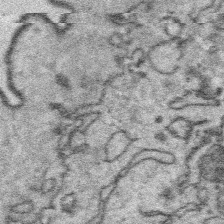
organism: Platynereis dumerilii